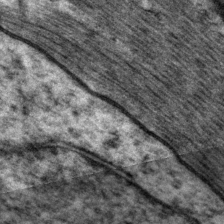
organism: P. pacificus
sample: Pharynx